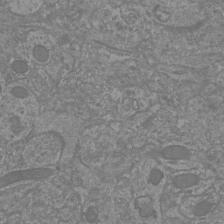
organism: Mouse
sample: Cortical neurons